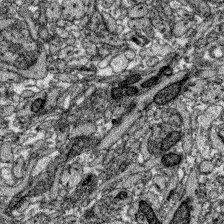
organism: Zebrafish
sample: Larval olfactory bulb